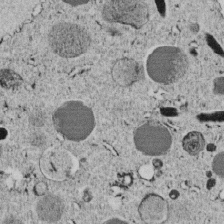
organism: C. elegans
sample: C. elegans embryo early stage